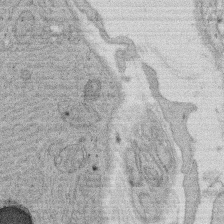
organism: Rat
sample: Salivary granule